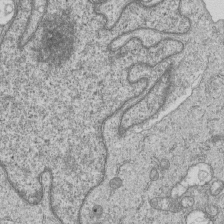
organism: Human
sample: MDA-MB-231 cells